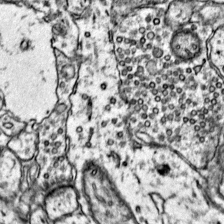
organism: Mouse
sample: Primary visual cortex